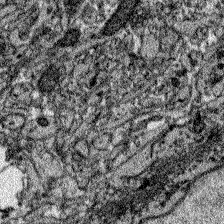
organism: Zebrafish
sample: Larval olfactory bulb